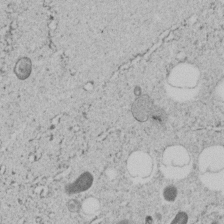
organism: C. elegans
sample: C. elegans embryo early stage